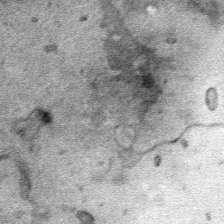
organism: Human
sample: Mitochondria in HCT116 cells